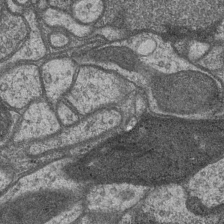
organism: Drosophila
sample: Optic medulla